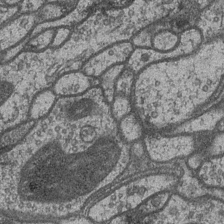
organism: Drosophila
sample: Optic medulla